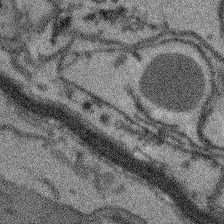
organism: Arabidopsis thaliana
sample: Root tip